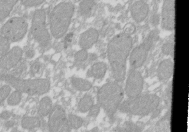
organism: Xenopus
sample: Cilia; centrioles in frog embryo cells